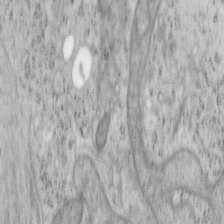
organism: Human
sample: HeLa cells